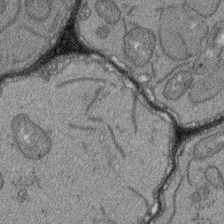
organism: Arabidopsis thaliana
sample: Root tip